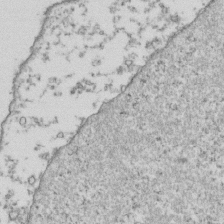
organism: Human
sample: Activated Jurkat CD4+ T cells